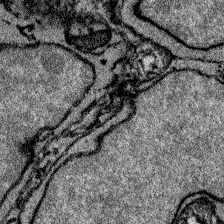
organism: Zebrafish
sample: Larval olfactory bulb